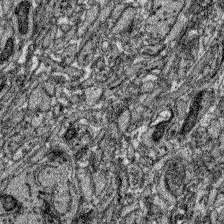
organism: Zebrafish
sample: Larval olfactory bulb